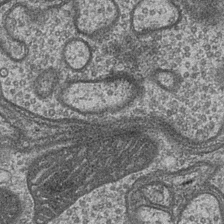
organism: Drosophila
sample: Optic medulla